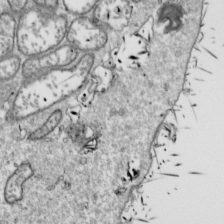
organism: Drosophila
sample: Cell division; meiosis; drosophila spermatocytes